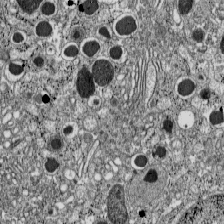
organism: C57BL Mouse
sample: Pancreatic islet